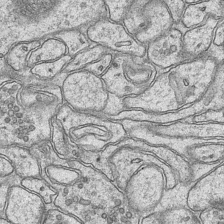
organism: Mouse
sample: CA1 Hippocampus